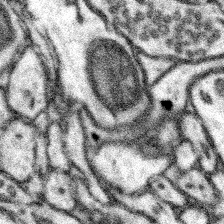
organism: Mouse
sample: Somatosensory cortex neuropil